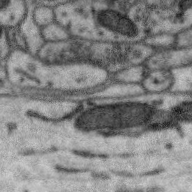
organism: Zebra finch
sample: Brain